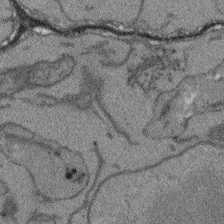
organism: Arabidopsis thaliana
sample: Root tip